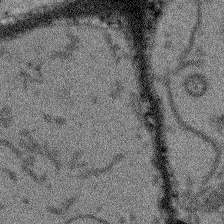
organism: Arabidopsis thaliana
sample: Root tip